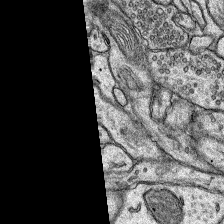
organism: Rat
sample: Hippocampus